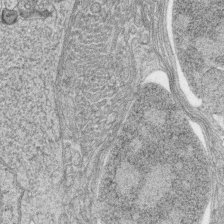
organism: Zebrafish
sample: synaptic ribbons in rod cells and cone cells